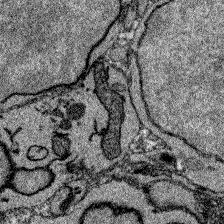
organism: Zebrafish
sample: Larval olfactory bulb